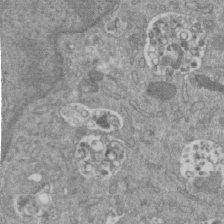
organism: Mouse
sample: ED-1 cell nuclei; centrioles